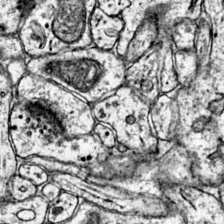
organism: Mouse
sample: Primary visual cortex